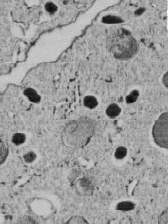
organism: C. elegans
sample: C. elegans embryo early stage